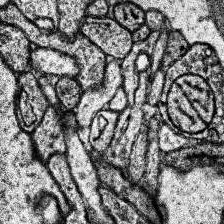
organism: Human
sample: Temporal Lobe